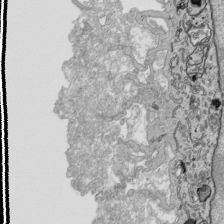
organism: Human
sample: Mitochondria in HCT116 cells